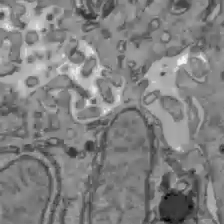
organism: C57BL Mouse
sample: Liver